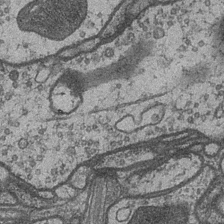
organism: Drosophila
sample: Optic medulla